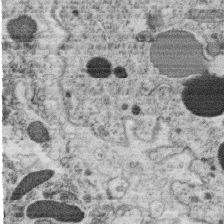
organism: C. elegans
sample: C. elegans oocyte; sperm cells